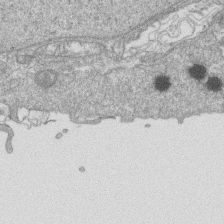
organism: Human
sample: HeLa cell HIV synapse